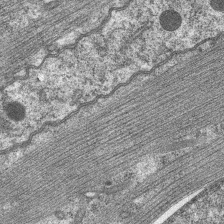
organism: C. elegans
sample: Pharynx